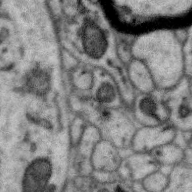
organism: Zebra finch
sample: Brain